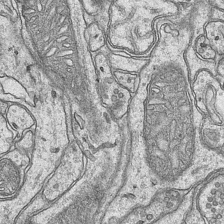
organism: Mouse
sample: CA1 Hippocampus